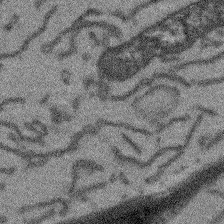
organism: Arabidopsis thaliana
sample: Root tip